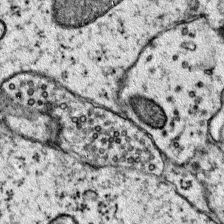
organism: Mouse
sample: Primary visual cortex